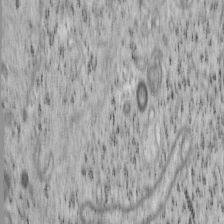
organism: Human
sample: HeLa cells